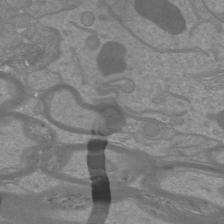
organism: Mouse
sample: Cortical neurons